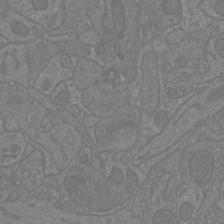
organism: Mouse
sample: Cortical neurons